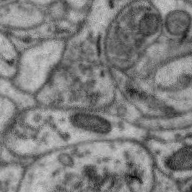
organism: Zebra finch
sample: Brain